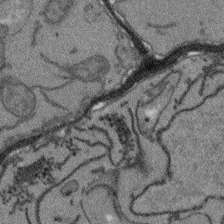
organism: Arabidopsis thaliana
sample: Root tip